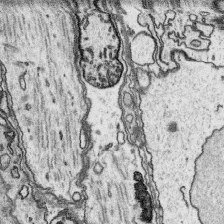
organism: Platynereis dumerilii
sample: Parapodia